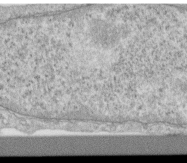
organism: Human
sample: Centriole in RPE cells